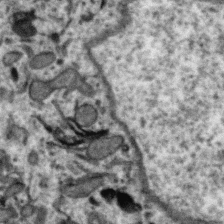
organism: Zebra finch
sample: Brain